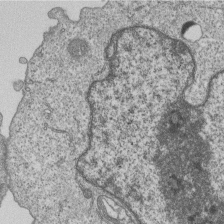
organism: Human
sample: MDA-MB-231 cells